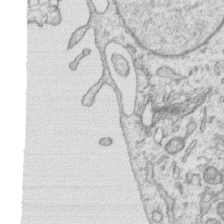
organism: Human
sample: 1205lu cells